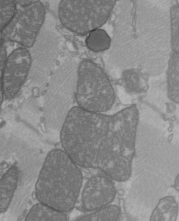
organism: C57BL Mouse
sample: Heart